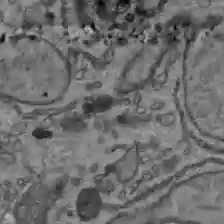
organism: C57BL Mouse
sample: Liver